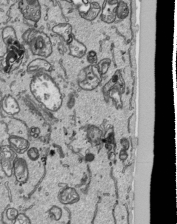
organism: Human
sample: Mitochondria in HCT116 cells